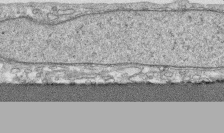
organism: Human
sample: CRL-1474